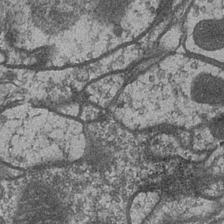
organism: Drosophila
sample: Optic medulla